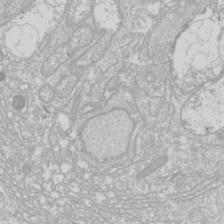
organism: Drosophila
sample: Cell division; meiosis; drosophila spermatocytes